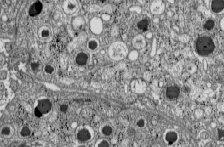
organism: C57BL Mouse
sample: Pancreatic islet